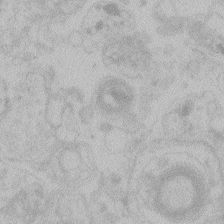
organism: Zebrafish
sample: Macrophage infected with Toxoplasma gondii